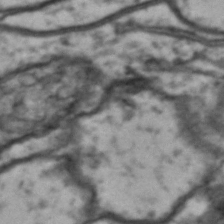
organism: Drosophila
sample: Brain